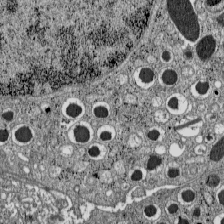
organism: C57BL Mouse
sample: Pancreatic islet